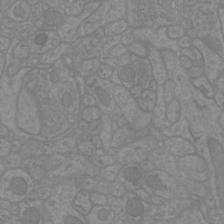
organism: Mouse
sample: Cortical neurons